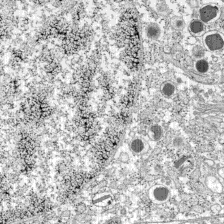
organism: C57BL Mouse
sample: Pancreatic islet